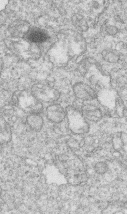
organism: Human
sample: HeLa cell HIV synapse